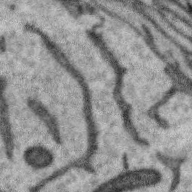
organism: Zebra finch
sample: Brain